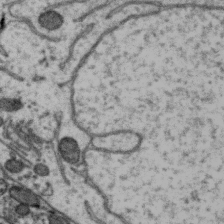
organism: Zebra finch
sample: Brain